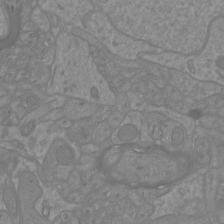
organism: Mouse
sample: Cortical neurons